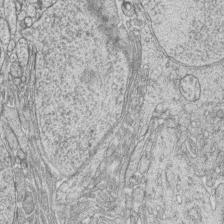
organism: Zebrafish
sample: synaptic ribbons in rod cells and cone cells